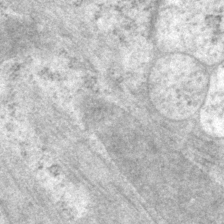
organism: P. pacificus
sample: Pharynx